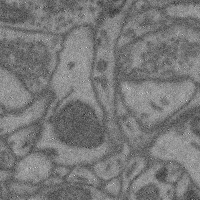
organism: Mouse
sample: Cerebral cortex